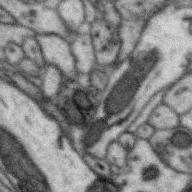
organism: Zebra finch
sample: Brain